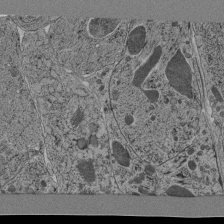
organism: C. elegans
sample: C. elegans pharynx